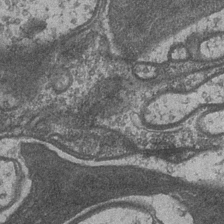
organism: Drosophila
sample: Optic medulla